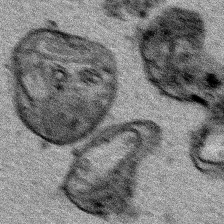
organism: Human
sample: Mitochondria in HCT116 cells